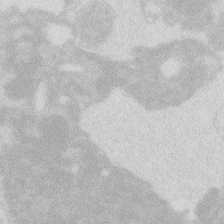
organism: Zebrafish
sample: Macrophage